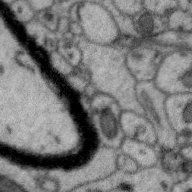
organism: Zebra finch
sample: Brain